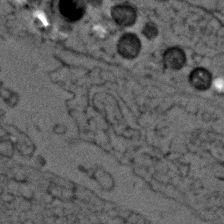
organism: Zebrafish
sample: Zebrafish embryo